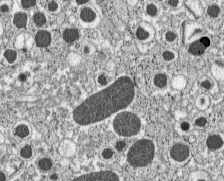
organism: C57BL Mouse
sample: Pancreatic islet